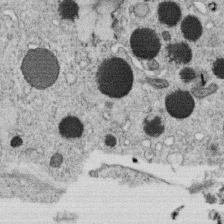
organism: C. elegans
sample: C. elegans oocyte; sperm cells